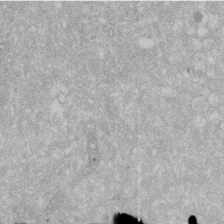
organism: Human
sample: HIV infected U937 cells